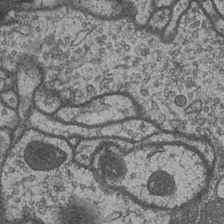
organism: Drosophila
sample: Optic medulla